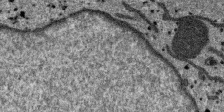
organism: Human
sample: Lung epithelial cells, uninfected (mock) control